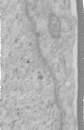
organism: Human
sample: Centriole in RPE cells